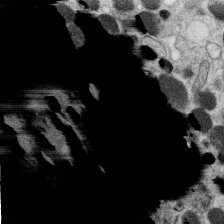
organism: C. elegans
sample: C. elegans oocyte; sperm cells